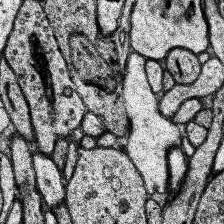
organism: Human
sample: Temporal Lobe